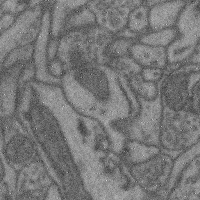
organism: Mouse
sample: Cerebral cortex